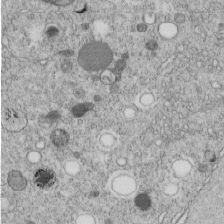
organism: C. elegans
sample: C. elegans embryo early stage